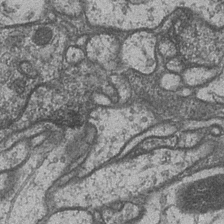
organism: Drosophila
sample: Optic medulla